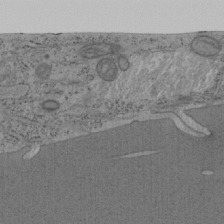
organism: Human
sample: HeLa cells